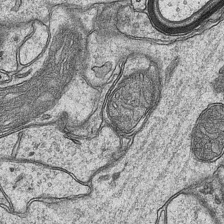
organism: Mouse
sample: CA1 Hippocampus